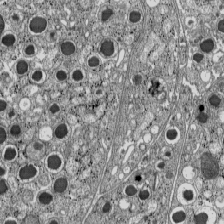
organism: C57BL Mouse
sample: Pancreatic islet